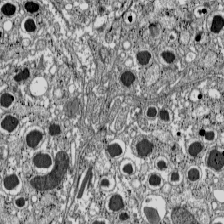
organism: C57BL Mouse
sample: Pancreatic islet